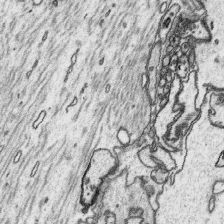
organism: Platynereis dumerilii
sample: Parapodia